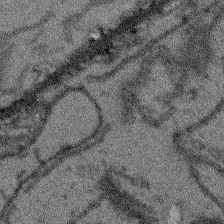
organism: Arabidopsis thaliana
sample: Root tip